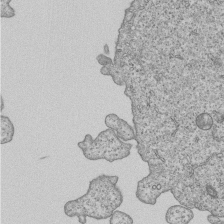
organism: Human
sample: MDA-MB-231 cells